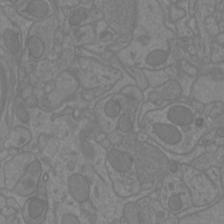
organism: Mouse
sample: Cortical neurons